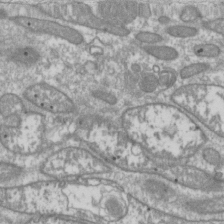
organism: Drosophila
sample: Cell division; meiosis; drosophila spermatocytes